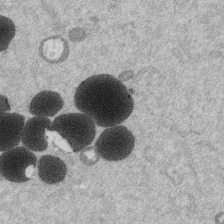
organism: Mouse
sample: Dividing mouse embryo 1 cell stage